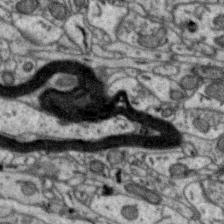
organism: Zebra finch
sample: Brain